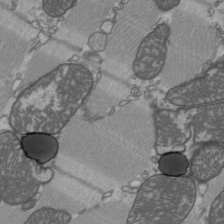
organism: C57BL Mouse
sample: Heart